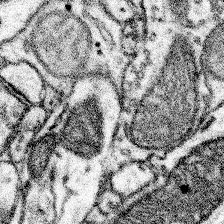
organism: Mouse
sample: Somatosensory cortex neuropil